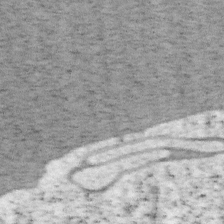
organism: Mouse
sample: OT-I killer T cells with ID8 ovarian cancer cells